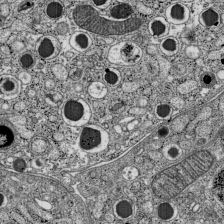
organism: C57BL Mouse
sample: Pancreatic islet